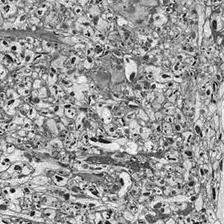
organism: Drosophila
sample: Optic lobe